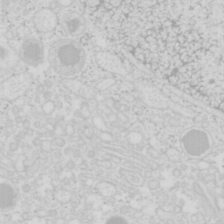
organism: Mouse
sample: Pancreas